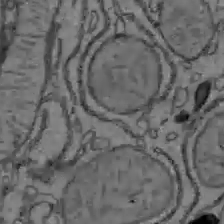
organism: C57BL Mouse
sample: Liver